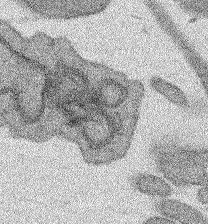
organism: Human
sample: HeLa cells